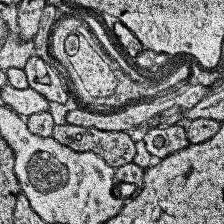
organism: Human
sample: Temporal Lobe